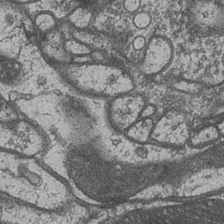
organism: Drosophila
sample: Optic medulla